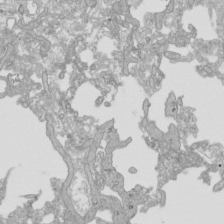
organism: Human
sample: Mitochondria in HCT116 cells